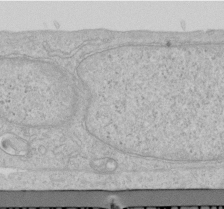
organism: Human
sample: Centriole in RPE cells